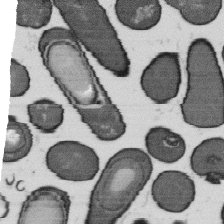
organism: B. subtilis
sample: Bacterial spore